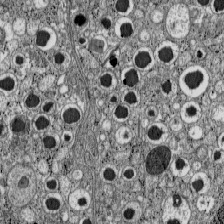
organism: C57BL Mouse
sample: Pancreatic islet